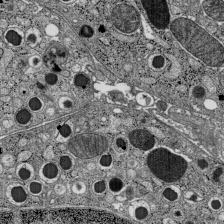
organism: C57BL Mouse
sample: Pancreatic islet